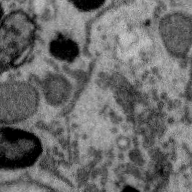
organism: Zebra finch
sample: Brain